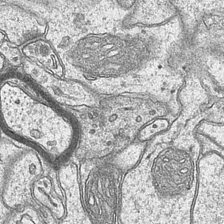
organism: Mouse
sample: CA1 Hippocampus